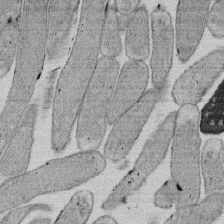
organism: E. coli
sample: Bacterial nucleoid